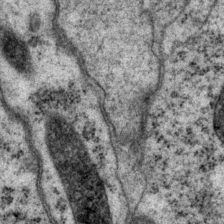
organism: P. pacificus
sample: Pharynx